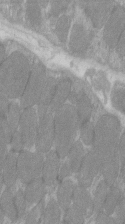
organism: C57BL Mouse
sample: Tibialis anterior muscle cell